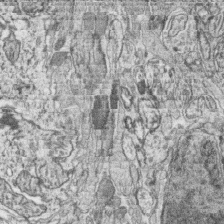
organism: Zebrafish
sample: synaptic ribbons in rod cells and cone cells